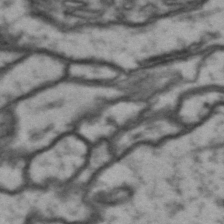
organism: Drosophila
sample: Brain